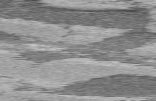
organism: C57BL Mouse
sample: Heart